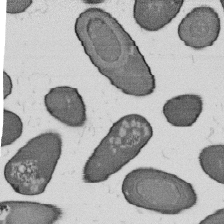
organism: B. subtilis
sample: Bacterial spore